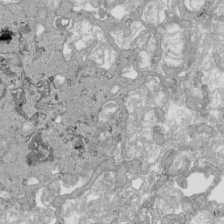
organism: Human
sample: Mitochondria in HCT116 cells